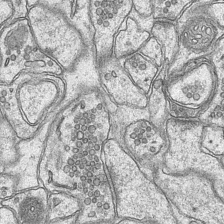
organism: Mouse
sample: CA1 Hippocampus